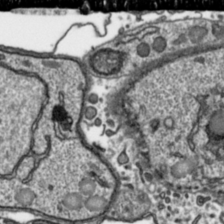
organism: Toxoplasma gondii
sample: Parasites in a vacuole inside a host cell